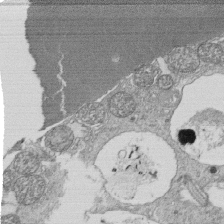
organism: Tetrahymena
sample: Cilia in tetrahymena